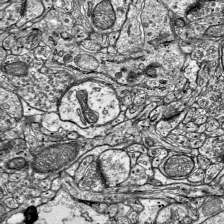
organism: Mouse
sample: Visual Cortex